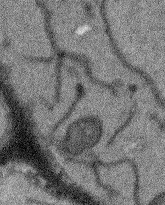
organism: Arabidopsis thaliana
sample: Root tip